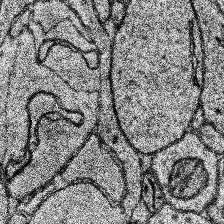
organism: Human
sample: Temporal Lobe